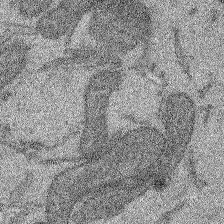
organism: Human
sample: HeLa cells